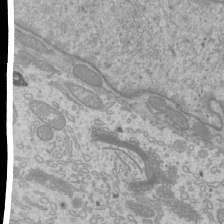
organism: Mouse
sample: Cilia; mouse epididymis